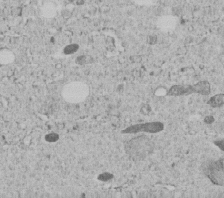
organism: C. elegans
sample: C. elegans embryo early stage